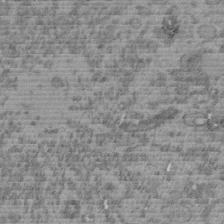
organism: C. elegans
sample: C. elegans embryo early stage